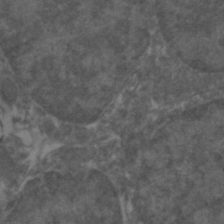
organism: Zebrafish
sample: Zebrafish embryo